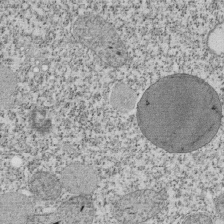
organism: Tetrahymena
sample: Cilia in tetrahymena